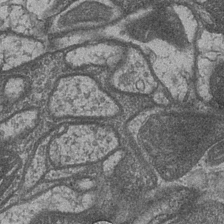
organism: Drosophila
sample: Optic medulla